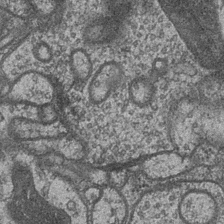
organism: Drosophila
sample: Optic medulla